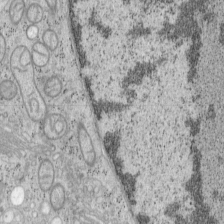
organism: Mouse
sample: OT-I killer T cells with ID8 ovarian cancer cells